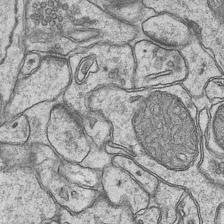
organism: Mouse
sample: CA1 Hippocampus